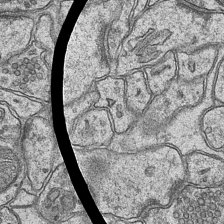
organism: Mouse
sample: CA1 Hippocampus